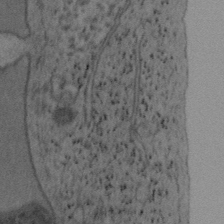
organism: Human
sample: HeLa cells